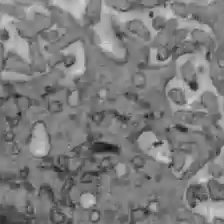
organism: C57BL Mouse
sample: Liver